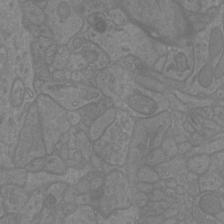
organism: Mouse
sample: Cortical neurons